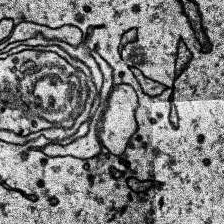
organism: Human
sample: Temporal Lobe